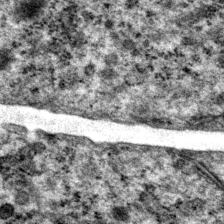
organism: P. pacificus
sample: Pharynx